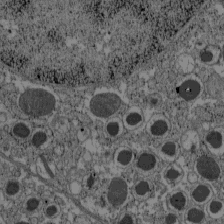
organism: C57BL Mouse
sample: Pancreatic islet